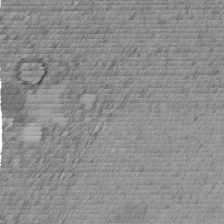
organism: C. elegans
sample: C. elegans embryo early stage